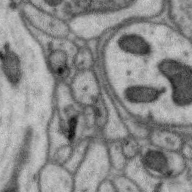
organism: Zebra finch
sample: Brain